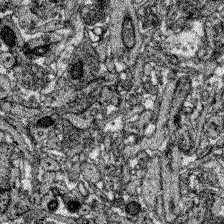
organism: Zebrafish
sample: Larval olfactory bulb